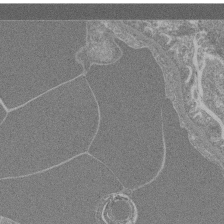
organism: Mouse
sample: Glomerulus